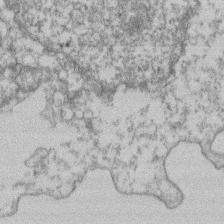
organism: Mouse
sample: T cell stromal cell synapse